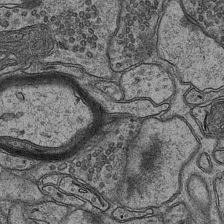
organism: Mouse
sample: CA1 Hippocampus